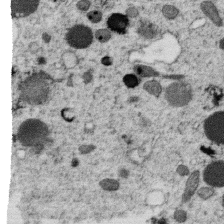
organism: C. elegans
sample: C. elegans oocyte; sperm cells